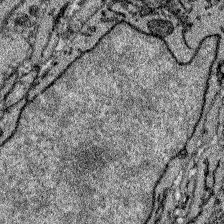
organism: Zebrafish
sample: Larval olfactory bulb